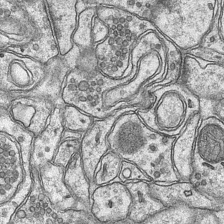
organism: Mouse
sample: CA1 Hippocampus